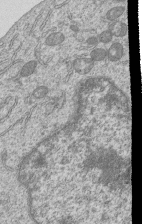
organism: Human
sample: MDA-MB-231 cells